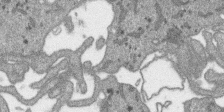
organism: Human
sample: Lung epithelial cells infected with SARS-CoV-2